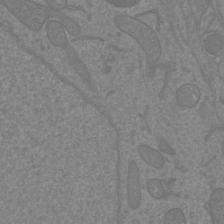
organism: Mouse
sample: Cortical neurons